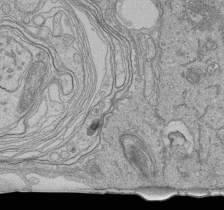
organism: Human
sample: Retinal organoid Rod and Cone cells